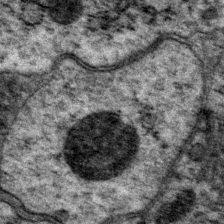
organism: P. pacificus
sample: Pharynx